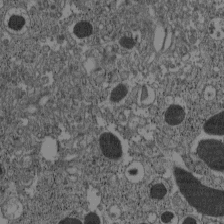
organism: C57BL Mouse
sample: Pancreatic islet